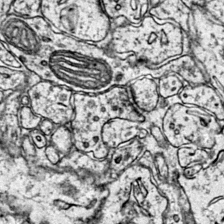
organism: Mouse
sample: Primary visual cortex